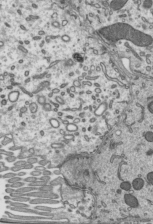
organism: Mouse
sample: Mouse epididymis efferent ductule cilia